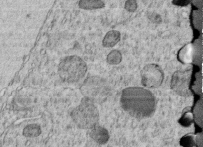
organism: C. elegans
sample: C. elegans embryo early stage